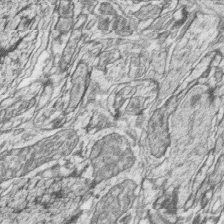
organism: Zebrafish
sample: synaptic ribbons in rod cells and cone cells